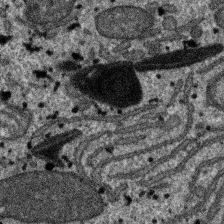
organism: Human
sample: Lung epithelial cells infected with SARS-CoV-2